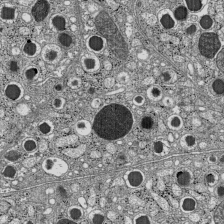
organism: C57BL Mouse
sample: Pancreatic islet